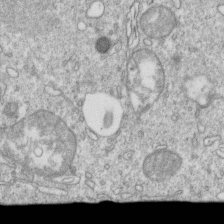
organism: Mouse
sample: Activated OT-1 CD8+ T cells